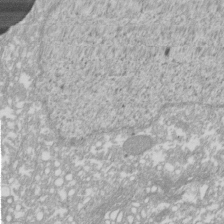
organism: Xenopus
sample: Cilia; centrioles in frog embryo cells